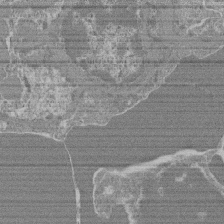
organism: Mouse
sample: Glomerulus